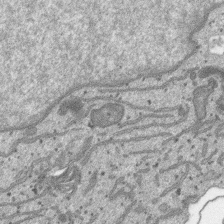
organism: Human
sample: Lung epithelial cells infected with SARS-CoV-2